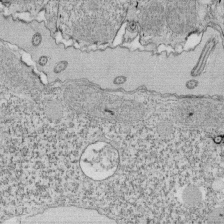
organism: Tetrahymena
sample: Cilia in tetrahymena